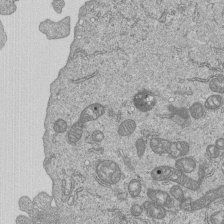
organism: Human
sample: MDA-MB-231 cells